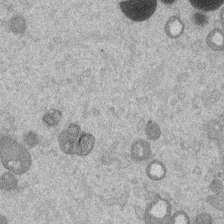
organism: Mouse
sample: Dividing mouse embryo 1 cell stage